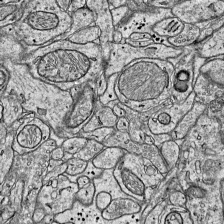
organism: Mouse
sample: Visual Cortex